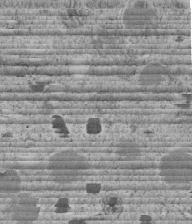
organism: C. elegans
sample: C. elegans embryo early stage